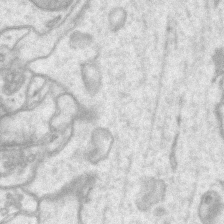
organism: Mouse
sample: CA1 Hippocampus